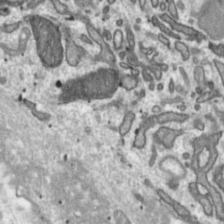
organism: Toxoplasma gondii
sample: Parasites in a vacuole inside a host cell